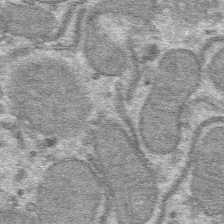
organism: Mouse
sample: Mouse hepatocytes